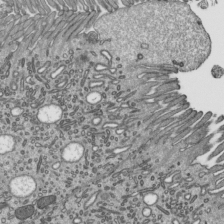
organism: Mouse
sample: Mouse epididymis efferent ductule cilia